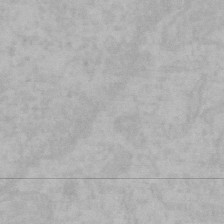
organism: Mouse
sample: Choroid plexus